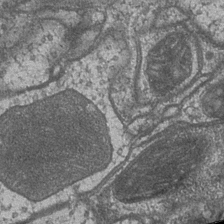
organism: Drosophila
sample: Optic medulla